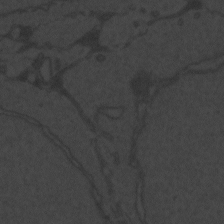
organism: Zebrafish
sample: Macrophage infected with Toxoplasma gondii